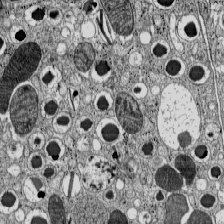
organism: C57BL Mouse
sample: Pancreatic islet